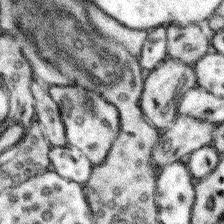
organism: Mouse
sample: Somatosensory cortex neuropil